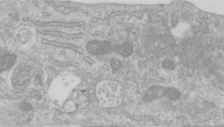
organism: Human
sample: Centriole in RPE cells